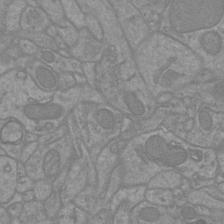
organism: Mouse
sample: Cortical neurons